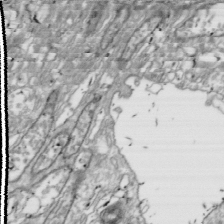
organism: Drosophila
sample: Cell division; meiosis; drosophila spermatocytes